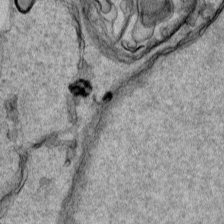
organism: Human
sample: Mitochondria in HCT116 cells